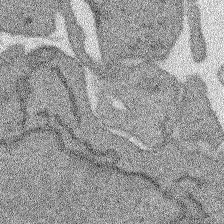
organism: Human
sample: HeLa cells